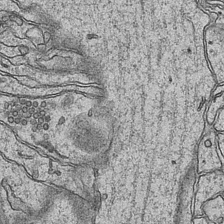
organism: Mouse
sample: CA1 Hippocampus